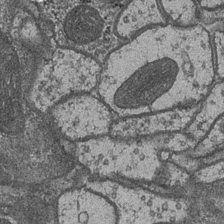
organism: Drosophila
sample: Optic medulla